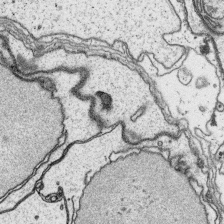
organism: Platynereis dumerilii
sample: Parapodia